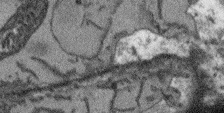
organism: Arabidopsis thaliana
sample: Root tip